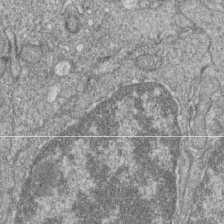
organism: Zebrafish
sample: Cilia; retinal pigment epithelium